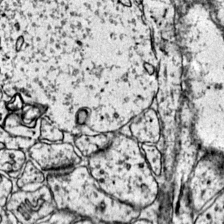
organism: Mouse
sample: Primary visual cortex